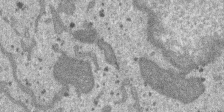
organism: Human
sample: Lung epithelial cells infected with SARS-CoV-2